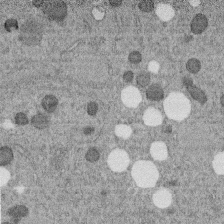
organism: C. elegans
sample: C. elegans embryo early stage